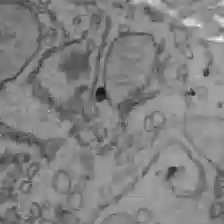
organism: C57BL Mouse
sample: Liver